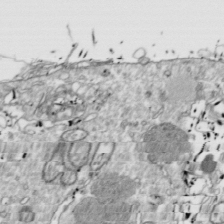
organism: Drosophila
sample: Cell division; meiosis; drosophila spermatocytes